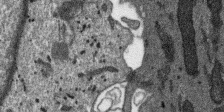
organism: Human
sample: Lung epithelial cells infected with SARS-CoV-2